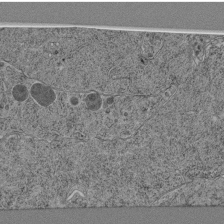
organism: C. elegans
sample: C. elegans pharynx